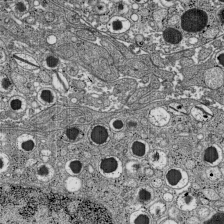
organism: C57BL Mouse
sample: Pancreatic islet